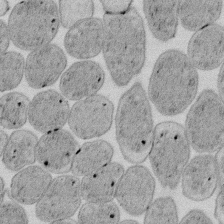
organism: E. coli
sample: Bacterial nucleoid